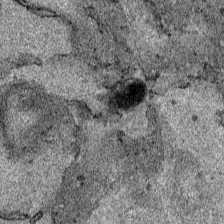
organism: Human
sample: Mitochondria in HCT116 cells